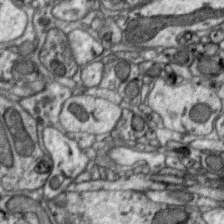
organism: Zebra finch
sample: Brain